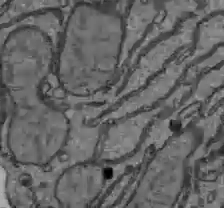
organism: C57BL Mouse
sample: Liver